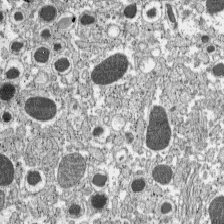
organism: C57BL Mouse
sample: Pancreatic islet